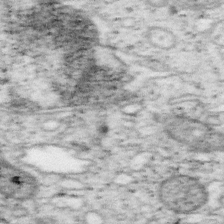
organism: Mouse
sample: OT-I killer T cells with ID8 ovarian cancer cells